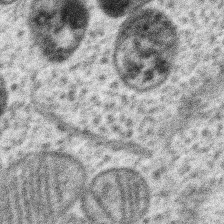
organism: Human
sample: HeLa cells